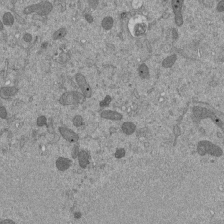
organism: Mouse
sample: ED-1 cell nuclei; centrioles